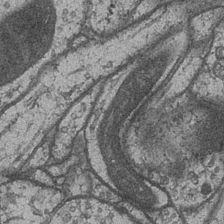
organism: Drosophila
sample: Optic medulla